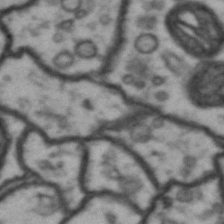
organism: Drosophila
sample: Brain